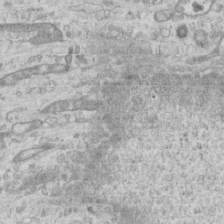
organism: Mouse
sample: Centriole in ependymal cells